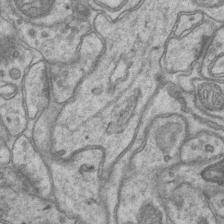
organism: Mouse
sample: CA1 Hippocampus